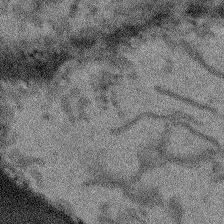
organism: Arabidopsis thaliana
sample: Root tip